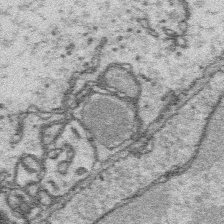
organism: Platynereis dumerilii